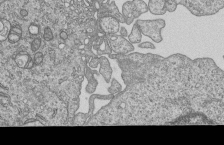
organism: Human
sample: MDA-MB-231 cells